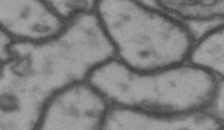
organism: Drosophila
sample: Brain